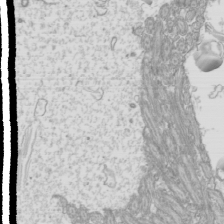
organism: Mouse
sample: Cilia; mouse epididymis